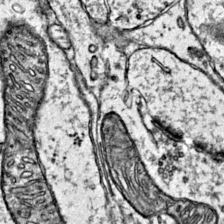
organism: Mouse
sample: Primary visual cortex